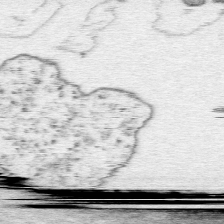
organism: Human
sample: HeLa cells